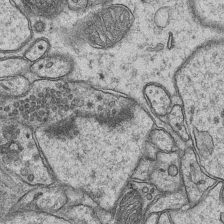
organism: Mouse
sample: CA1 Hippocampus